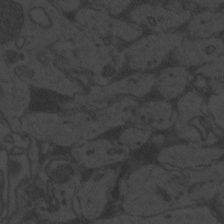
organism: Zebrafish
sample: Macrophage infected with Toxoplasma gondii